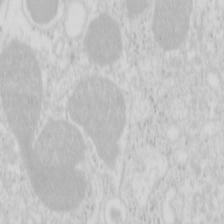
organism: Mouse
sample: Pancreas